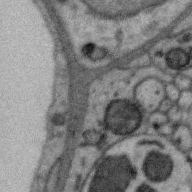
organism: Zebra finch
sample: Brain